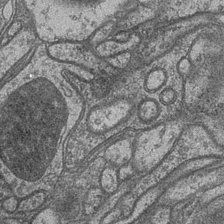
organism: Drosophila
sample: Optic medulla